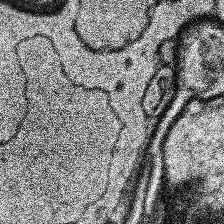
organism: Human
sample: Temporal Lobe